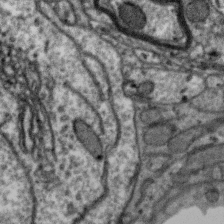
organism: Zebra finch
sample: Brain